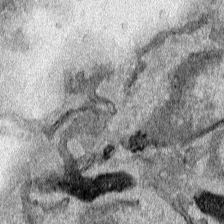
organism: Human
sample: Mitochondria in HCT116 cells